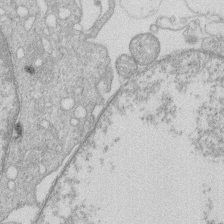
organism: Human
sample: Macrophage cells